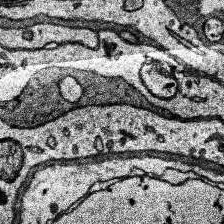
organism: Human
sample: Temporal Lobe